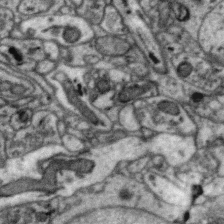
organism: Zebra finch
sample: Brain